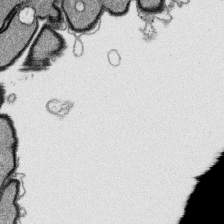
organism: Platynereis dumerilii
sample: Parapodia